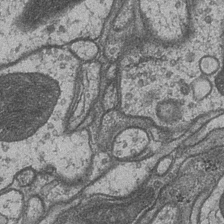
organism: Drosophila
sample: Optic medulla